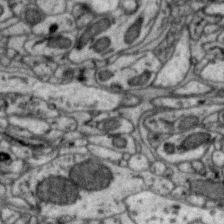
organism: Zebra finch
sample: Brain